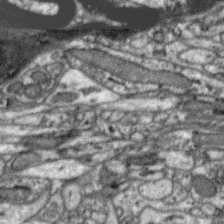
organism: Zebra finch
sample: Brain